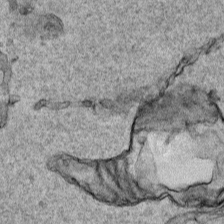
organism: Human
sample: Mitochondria in HCT116 cells